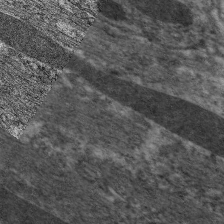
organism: C. elegans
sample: Pharynx